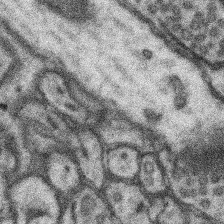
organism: Mouse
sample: Somatosensory cortex neuropil